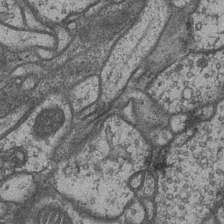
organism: Drosophila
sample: Optic medulla